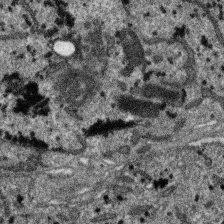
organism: Human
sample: Lung epithelial cells infected with SARS-CoV-2